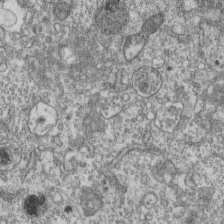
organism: Mouse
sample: Centriole in ependymal cells